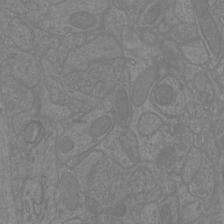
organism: Mouse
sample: Cortical neurons